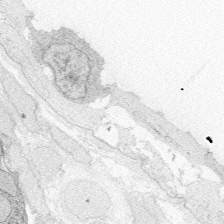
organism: Zebrafish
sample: Whole-Brain